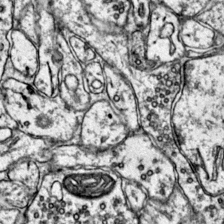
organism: Mouse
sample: Primary visual cortex